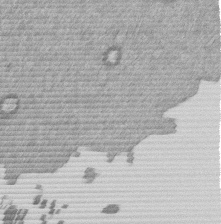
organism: Mouse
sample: Dividing mouse embryo 1 cell stage